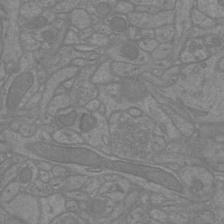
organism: Mouse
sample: Cortical neurons